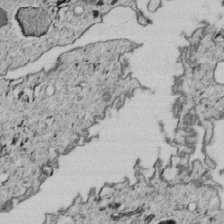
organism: C. elegans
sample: C. elegans embryo early stage